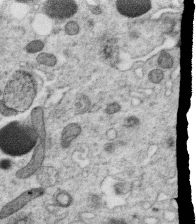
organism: C. elegans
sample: C. elegans oocyte; sperm cells